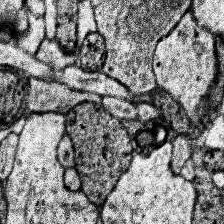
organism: Human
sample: Temporal Lobe